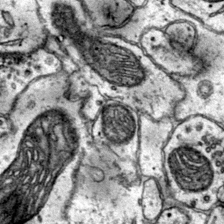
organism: Mouse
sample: Primary visual cortex